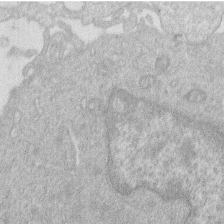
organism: Human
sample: Macrophage cells